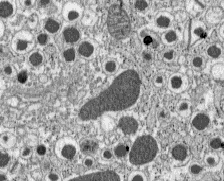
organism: C57BL Mouse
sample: Pancreatic islet